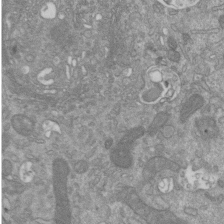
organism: Mouse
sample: ED-1 cell nuclei; centrioles